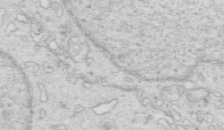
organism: Mouse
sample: Multiciliated cells